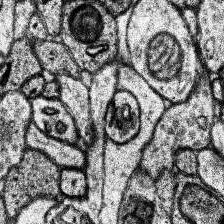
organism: Human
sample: Temporal Lobe